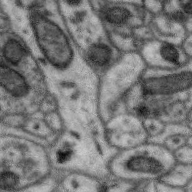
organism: Zebra finch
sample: Brain